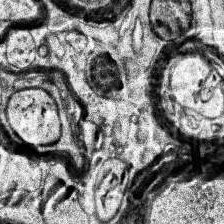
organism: Human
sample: Temporal Lobe